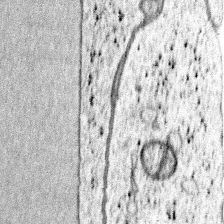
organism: Human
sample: HeLa cells